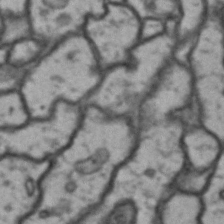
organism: Drosophila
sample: Brain